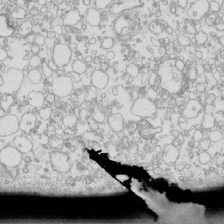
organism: Mouse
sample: Macrophages